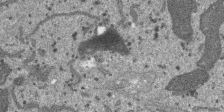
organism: Human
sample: Lung epithelial cells infected with SARS-CoV-2